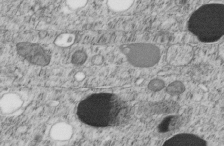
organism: C. elegans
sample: C. elegans embryo early stage